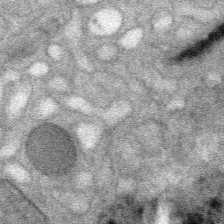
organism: Mouse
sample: Mouse Salivary gland